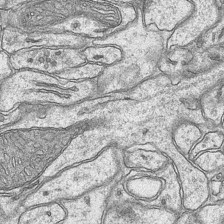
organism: Mouse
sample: CA1 Hippocampus